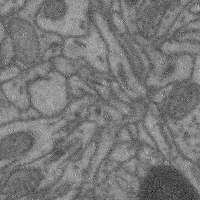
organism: Mouse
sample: Cerebral cortex